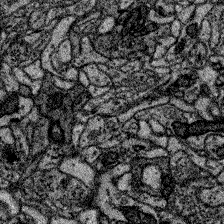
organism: Zebrafish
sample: Larval olfactory bulb